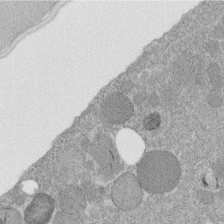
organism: C. elegans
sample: C. elegans embryo early stage